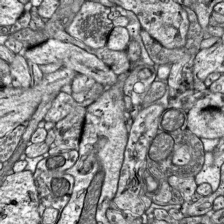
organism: Mouse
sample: Visual Cortex